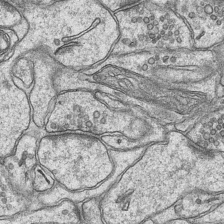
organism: Mouse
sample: CA1 Hippocampus